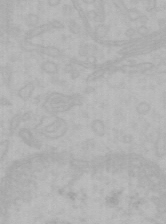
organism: Mouse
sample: Choroid plexus